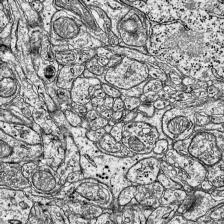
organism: Mouse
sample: Visual Cortex